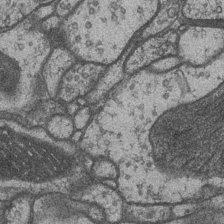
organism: Drosophila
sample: Optic medulla